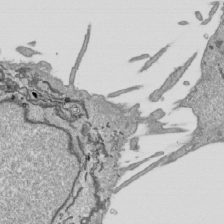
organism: Human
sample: Mitochondria in HCT116 cells